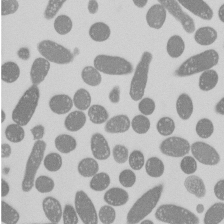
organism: E. coli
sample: Bacterial nucleoid